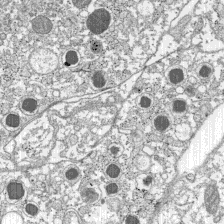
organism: C57BL Mouse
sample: Pancreatic islet